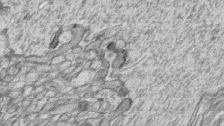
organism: Zebrafish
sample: synaptic ribbons in rod cells and cone cells